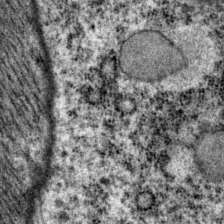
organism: P. pacificus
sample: Pharynx